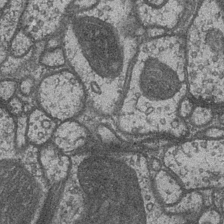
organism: Drosophila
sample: Optic medulla